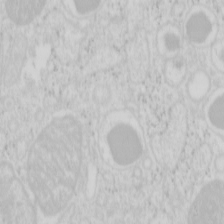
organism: Mouse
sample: Pancreas